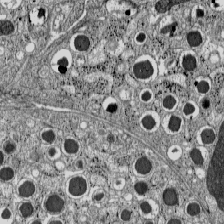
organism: C57BL Mouse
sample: Pancreatic islet